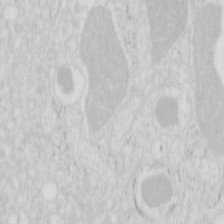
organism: Mouse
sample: Pancreas